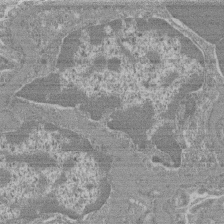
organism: Mouse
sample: Glomerulus